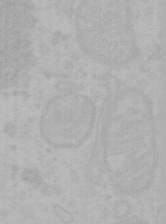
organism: Mouse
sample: Choroid plexus